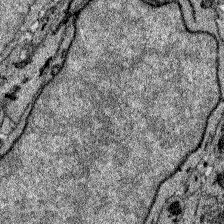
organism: Zebrafish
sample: Larval olfactory bulb